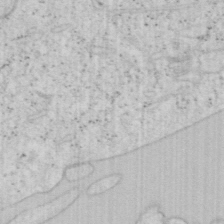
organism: Human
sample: HeLa cells